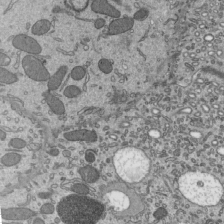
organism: Mouse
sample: Mouse epididymis efferent ductule cilia